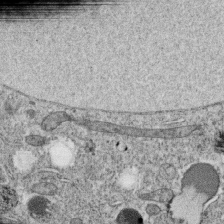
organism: C. elegans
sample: C. elegans oocyte; sperm cells